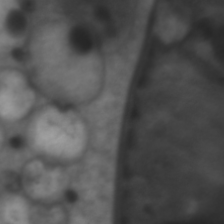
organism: C. elegans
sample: Pharynx